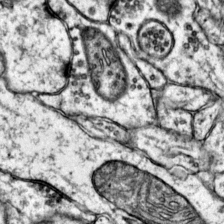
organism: Mouse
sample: Primary visual cortex